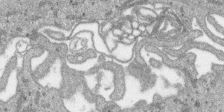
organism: Human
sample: Lung epithelial cells infected with SARS-CoV-2